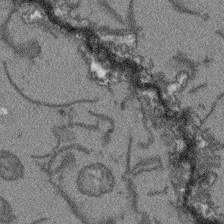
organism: Arabidopsis thaliana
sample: Root tip